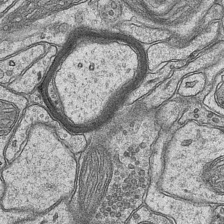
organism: Mouse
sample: CA1 Hippocampus